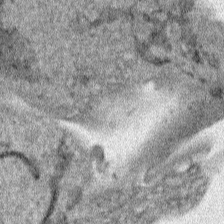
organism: Human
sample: Mitochondria in HCT116 cells